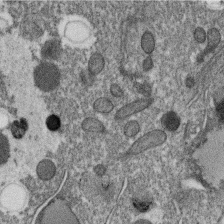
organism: C. elegans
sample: C. elegans oocyte; sperm cells